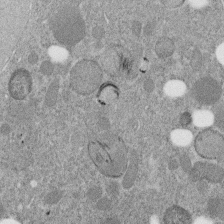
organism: C. elegans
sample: C. elegans embryo early stage